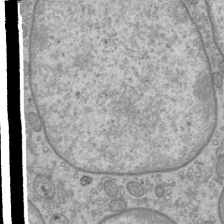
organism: Mouse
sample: Cilia; mouse epididymis